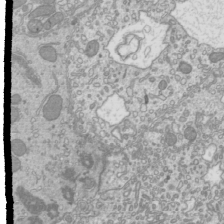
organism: Mouse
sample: Cilia; mouse epididymis